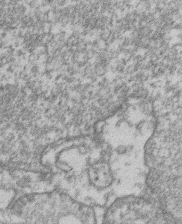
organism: Mouse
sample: T cell stromal cell synapse